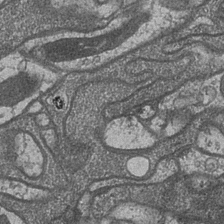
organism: Drosophila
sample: Optic medulla